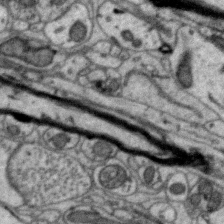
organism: Zebra finch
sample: Brain